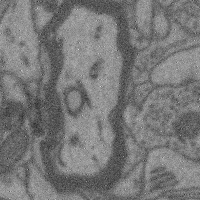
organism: Mouse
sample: Cerebral cortex